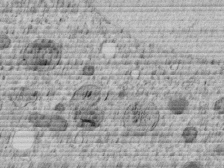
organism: C. elegans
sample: C. elegans embryo early stage